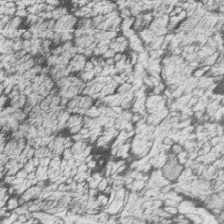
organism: Zebrafish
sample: synaptic ribbons in rod cells and cone cells